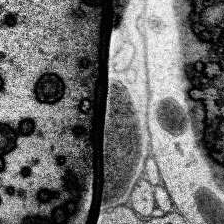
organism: Human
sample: Temporal Lobe